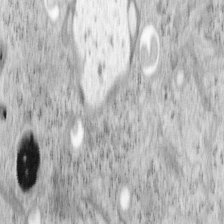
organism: Human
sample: HeLa cells